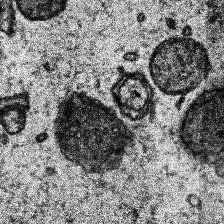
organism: Human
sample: Temporal Lobe